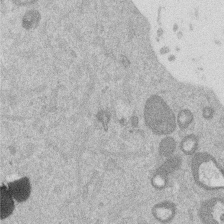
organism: Mouse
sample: Dividing mouse embryo 1 cell stage